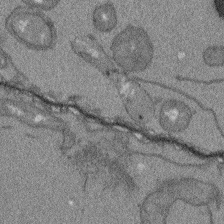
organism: Arabidopsis thaliana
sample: Root tip